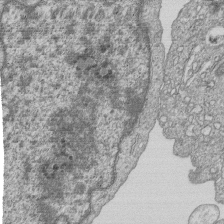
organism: Human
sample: MDA-MB-231 cells